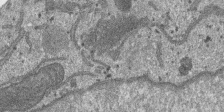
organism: Human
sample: Lung epithelial cells infected with SARS-CoV-2